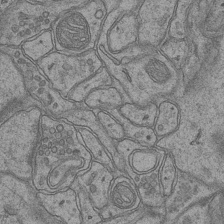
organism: Mouse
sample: CA1 Hippocampus